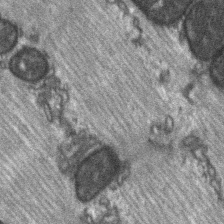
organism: C57BL Mouse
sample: Soleus